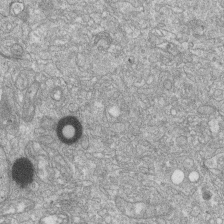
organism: Human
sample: HeLa cell HIV synapse